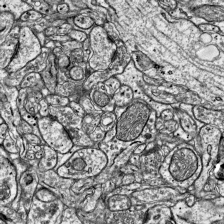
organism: Mouse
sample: Visual Cortex